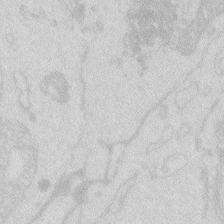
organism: Zebrafish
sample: Macrophage